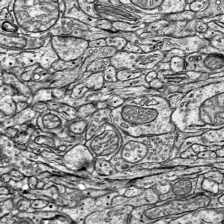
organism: Mouse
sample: Visual Cortex